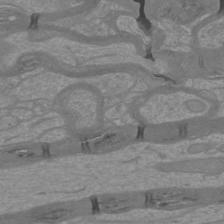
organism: Mouse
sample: Cortical neurons